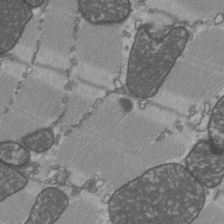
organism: C57BL Mouse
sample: Heart